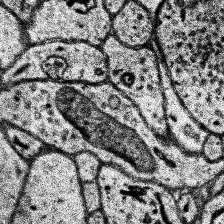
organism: Human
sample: Temporal Lobe